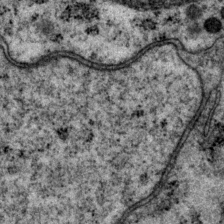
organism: P. pacificus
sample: Pharynx